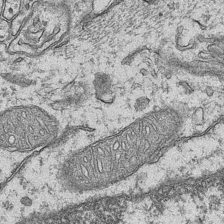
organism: Mouse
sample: CA1 Hippocampus